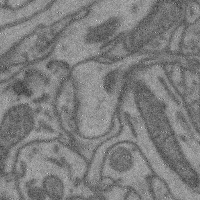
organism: Mouse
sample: Cerebral cortex